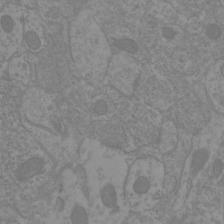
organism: Mouse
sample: Cortical neurons